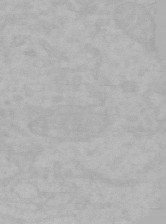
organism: Mouse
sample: Choroid plexus